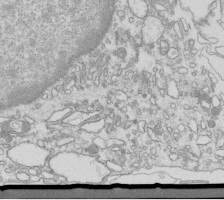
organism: Mouse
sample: Macrophages